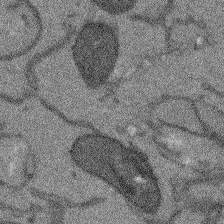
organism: Arabidopsis thaliana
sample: Root tip